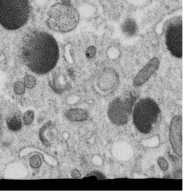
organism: C. elegans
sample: C. elegans oocyte; sperm cells